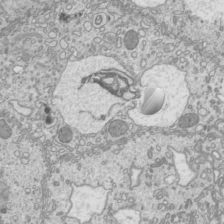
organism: Mouse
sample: Cilia; mouse epididymis